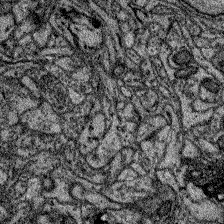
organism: Zebrafish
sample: Larval olfactory bulb